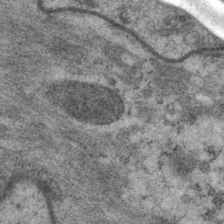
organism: P. pacificus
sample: Pharynx